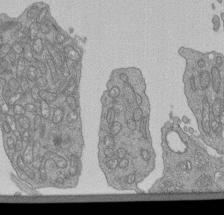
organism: Human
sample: Retinal organoid Rod and Cone cells